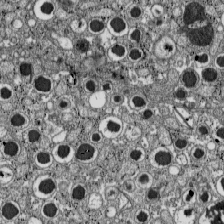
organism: C57BL Mouse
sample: Pancreatic islet